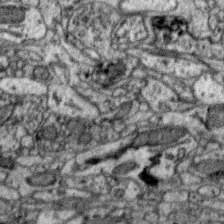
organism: Zebra finch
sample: Brain